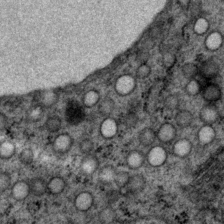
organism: P. pacificus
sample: Pharynx